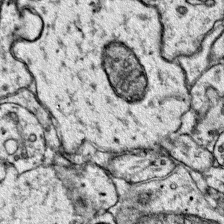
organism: Mouse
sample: Primary visual cortex